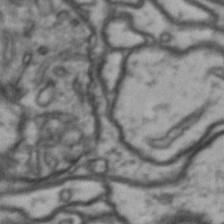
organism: Drosophila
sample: Brain